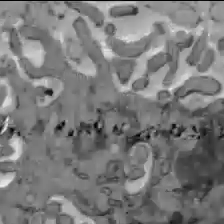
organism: C57BL Mouse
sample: Liver